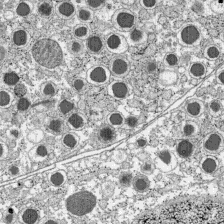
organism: C57BL Mouse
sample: Pancreatic islet